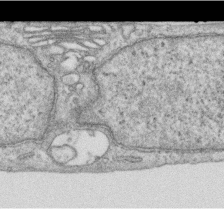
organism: Human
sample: Centriole in RPE cells